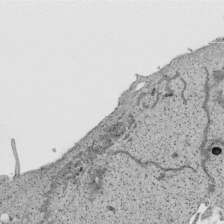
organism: Human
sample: Mitochondria in HCT116 cells